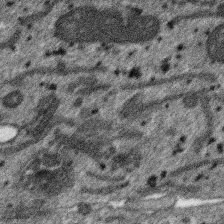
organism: Human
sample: Lung epithelial cells infected with SARS-CoV-2